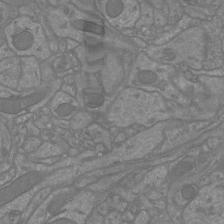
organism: Mouse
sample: Cortical neurons